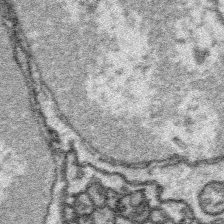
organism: Platynereis dumerilii